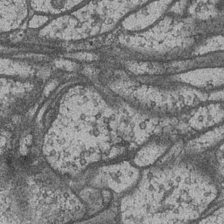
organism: Drosophila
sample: Optic medulla